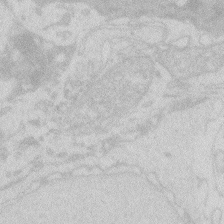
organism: Zebrafish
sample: Macrophage